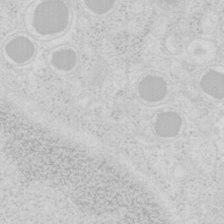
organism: Mouse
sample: Pancreas